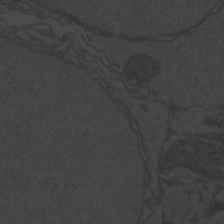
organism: Zebrafish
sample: Macrophage infected with Toxoplasma gondii